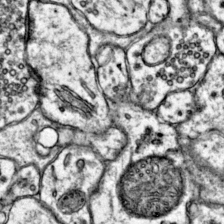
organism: Mouse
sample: Primary visual cortex